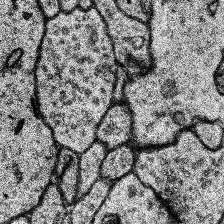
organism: Human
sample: Temporal Lobe